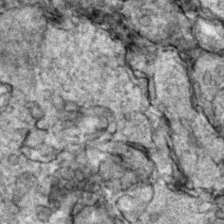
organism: Zebrafish